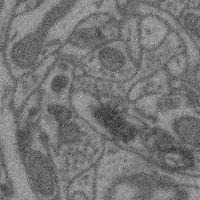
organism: Mouse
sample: Cerebral cortex